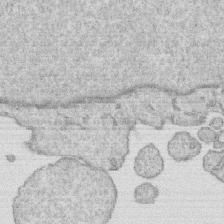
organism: Human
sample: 1205lu cells